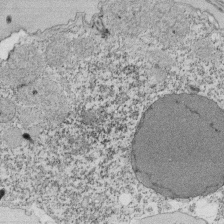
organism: Tetrahymena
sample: Cilia in tetrahymena